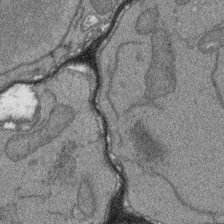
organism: Arabidopsis thaliana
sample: Root tip